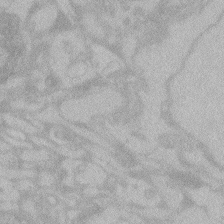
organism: Zebrafish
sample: Macrophage infected with Toxoplasma gondii